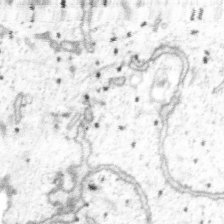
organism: Human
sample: HeLa cells